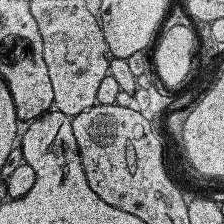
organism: Human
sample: Temporal Lobe